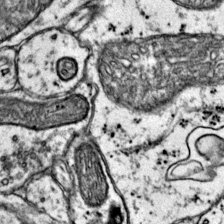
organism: Mouse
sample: Primary visual cortex